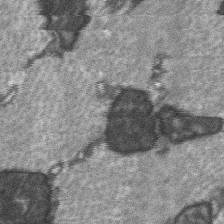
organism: C57BL Mouse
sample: Soleus